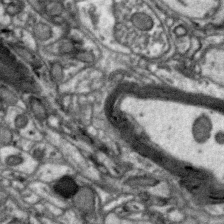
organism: Zebra finch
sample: Brain